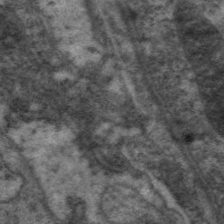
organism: C. elegans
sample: Pharynx